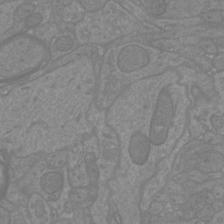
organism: Mouse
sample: Cortical neurons